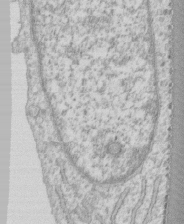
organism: Human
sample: CRL-1474